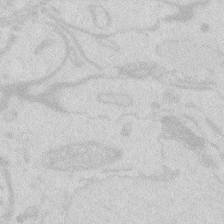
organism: Zebrafish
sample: Macrophage